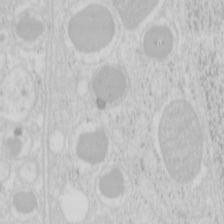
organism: Mouse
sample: Pancreas